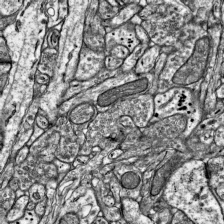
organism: Mouse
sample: Visual Cortex